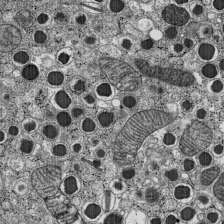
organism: C57BL Mouse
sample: Pancreatic islet